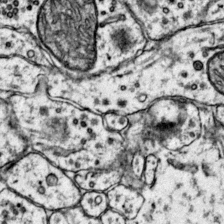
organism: Mouse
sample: Primary visual cortex